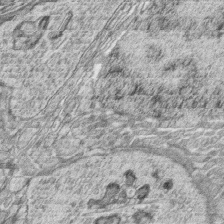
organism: Zebrafish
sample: synaptic ribbons in rod cells and cone cells